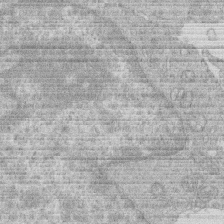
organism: Human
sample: Macrophage cells